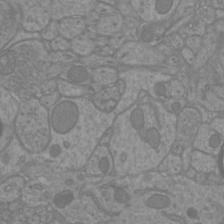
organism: Mouse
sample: Cortical neurons